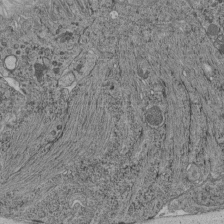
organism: C. elegans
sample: C. elegans pharynx